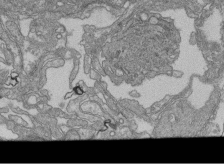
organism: Human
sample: Retinal organoid Rod and Cone cells